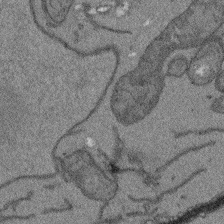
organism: Arabidopsis thaliana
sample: Root tip